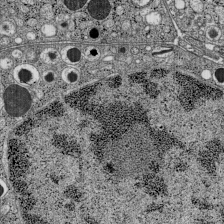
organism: C57BL Mouse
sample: Pancreatic islet